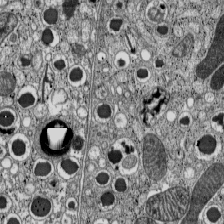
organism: C57BL Mouse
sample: Pancreatic islet